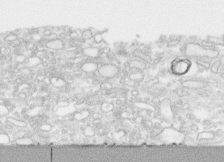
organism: Human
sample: CRL-1474